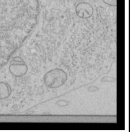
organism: Human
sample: Mitochondria in HCT116 cells